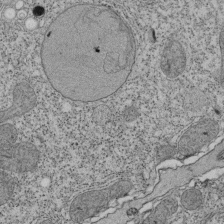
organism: Tetrahymena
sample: Cilia in tetrahymena